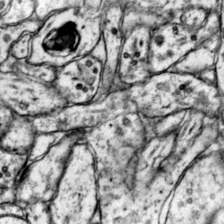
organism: Mouse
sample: Primary visual cortex